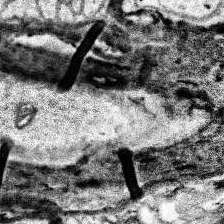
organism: Human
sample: Temporal Lobe